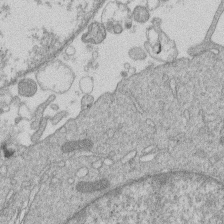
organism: Human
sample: Macrophage cells